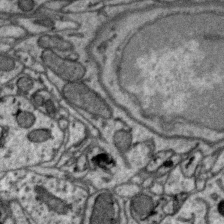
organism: Zebra finch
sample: Brain